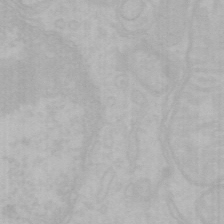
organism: Mouse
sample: Choroid plexus